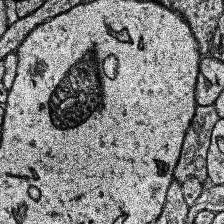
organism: Human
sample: Temporal Lobe